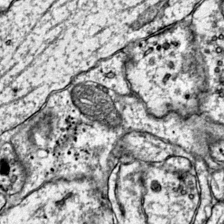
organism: Mouse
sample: Primary visual cortex